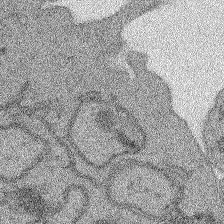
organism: Human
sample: HeLa cells